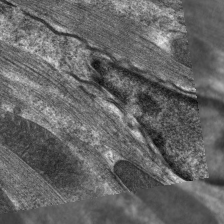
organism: C. elegans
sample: Pharynx